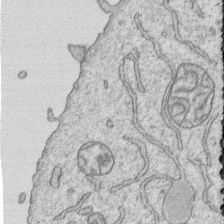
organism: Human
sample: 1205lu cells